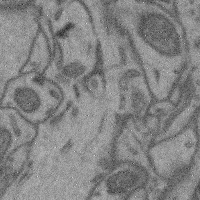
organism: Mouse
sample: Cerebral cortex